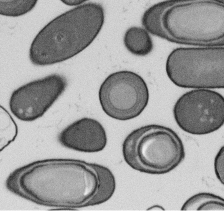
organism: B. subtilis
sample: Bacterial spore